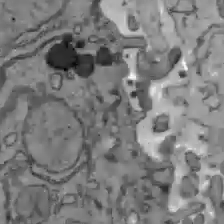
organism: C57BL Mouse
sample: Liver